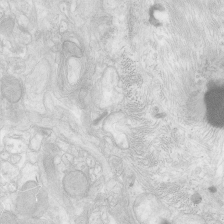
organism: Human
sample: Neocortex